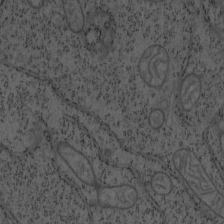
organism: Mouse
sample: OT-I killer T cells with ID8 ovarian cancer cells